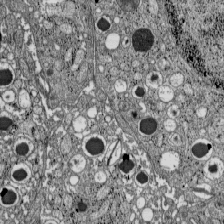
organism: C57BL Mouse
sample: Pancreatic islet